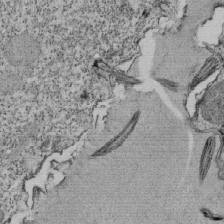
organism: Tetrahymena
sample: Cilia in tetrahymena